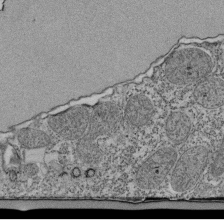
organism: Tetrahymena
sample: Cilia in tetrahymena